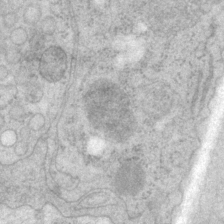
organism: P. pacificus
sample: Pharynx